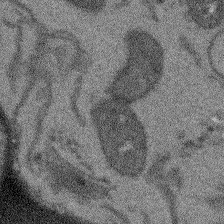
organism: Arabidopsis thaliana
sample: Root tip